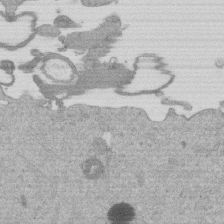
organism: Mouse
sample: Dividing mouse embryo 1 cell stage